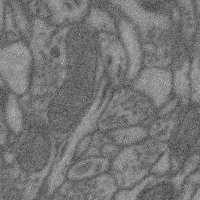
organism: Mouse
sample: Cerebral cortex